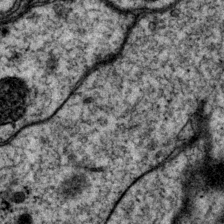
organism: P. pacificus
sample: Pharynx